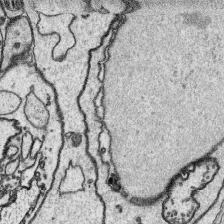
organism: Platynereis dumerilii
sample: Parapodia